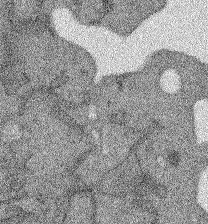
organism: Human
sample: HeLa cells